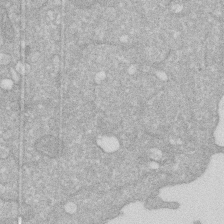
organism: Human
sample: HIV infected U937 cells